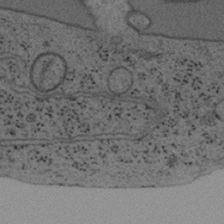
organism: Human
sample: HeLa cells